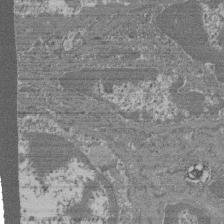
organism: Mouse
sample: Glomerulus